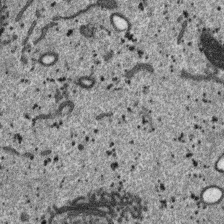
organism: Human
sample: Lung epithelial cells infected with SARS-CoV-2